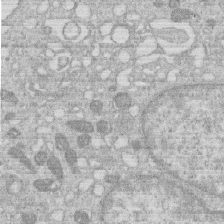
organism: Human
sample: Macrophage cells